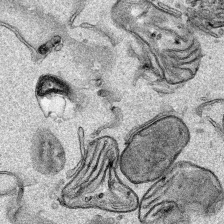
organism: Human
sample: Mitochondria in HCT116 cells